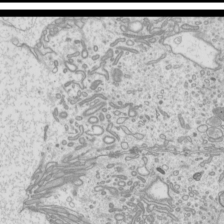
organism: Mouse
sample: Cilia; mouse epididymis